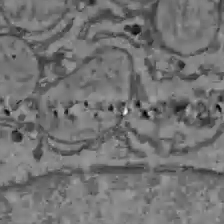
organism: C57BL Mouse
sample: Liver